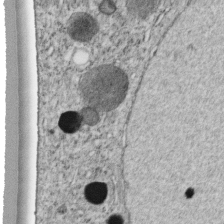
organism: C. elegans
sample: C. elegans embryo early stage